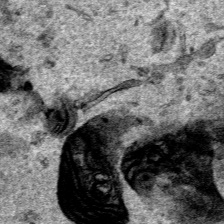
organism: Human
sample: Mitochondria in HCT116 cells